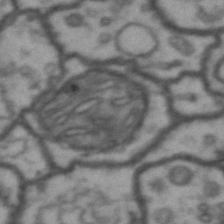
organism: Drosophila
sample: Brain